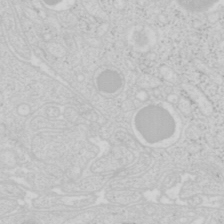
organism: Mouse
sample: Pancreas